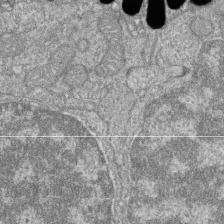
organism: Zebrafish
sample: Cilia; retinal pigment epithelium